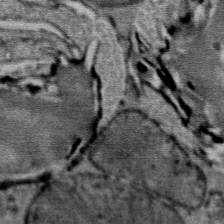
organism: Mouse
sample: Mouse Salivary gland